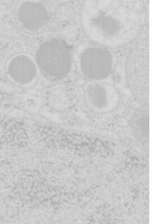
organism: Mouse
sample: Pancreas